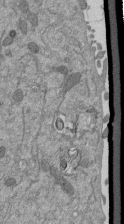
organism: Mouse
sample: ED-1 cell nuclei; centrioles